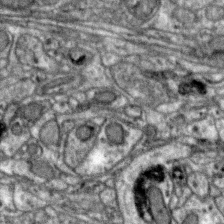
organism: Zebra finch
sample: Brain